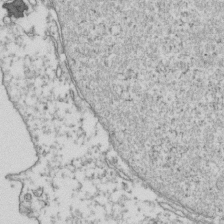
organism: Human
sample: Activated Jurkat CD4+ T cells